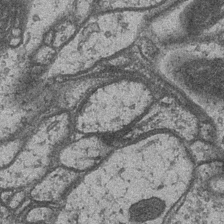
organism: Drosophila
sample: Optic medulla